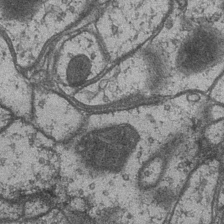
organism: Drosophila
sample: Optic medulla